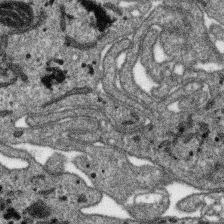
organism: Human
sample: Lung epithelial cells infected with SARS-CoV-2